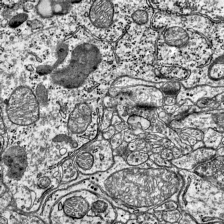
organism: Mouse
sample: Visual Cortex